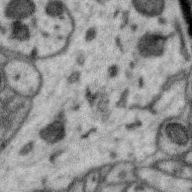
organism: Zebra finch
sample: Brain